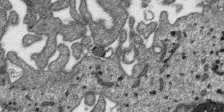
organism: Human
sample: Lung epithelial cells infected with SARS-CoV-2